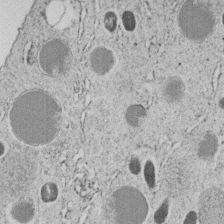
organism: C. elegans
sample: C. elegans embryo early stage